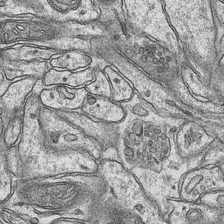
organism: Mouse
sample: CA1 Hippocampus